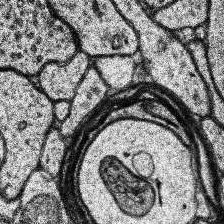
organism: Human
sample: Temporal Lobe